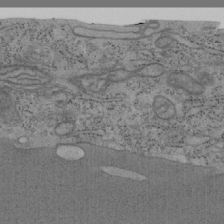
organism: Human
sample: HeLa cells